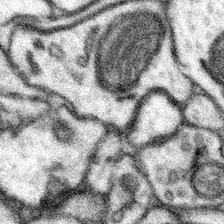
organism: Mouse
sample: Somatosensory cortex neuropil